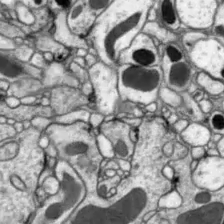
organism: Drosophila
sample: Optic lobe